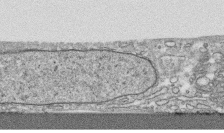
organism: Human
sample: CRL-1474